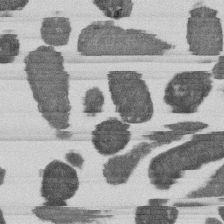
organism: E. coli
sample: Bacterial nucleoid